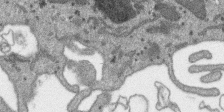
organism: Human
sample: Lung epithelial cells infected with SARS-CoV-2